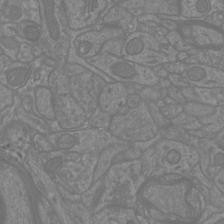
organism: Mouse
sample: Cortical neurons